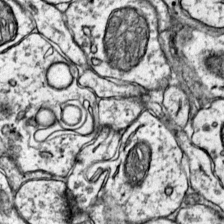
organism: Mouse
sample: Primary visual cortex